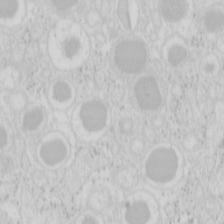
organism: Mouse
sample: Pancreas